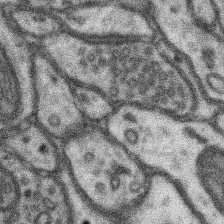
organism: Mouse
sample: Somatosensory cortex neuropil